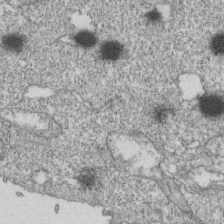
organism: Human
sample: HeLa cell HIV synapse